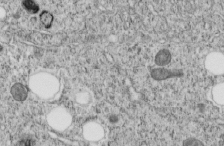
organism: C. elegans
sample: C. elegans embryo early stage